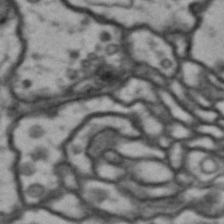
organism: Drosophila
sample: Brain